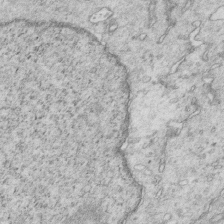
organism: Mouse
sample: Multiciliated cells